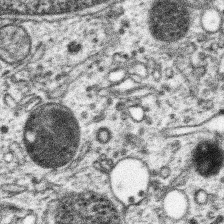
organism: Human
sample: HeLa cells